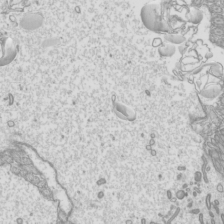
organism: Mouse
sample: Cilia; mouse epididymis